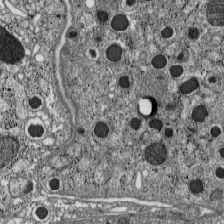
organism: C57BL Mouse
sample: Pancreatic islet